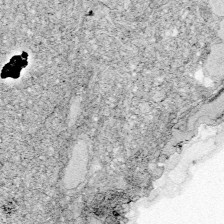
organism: Zebrafish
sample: Whole-Brain